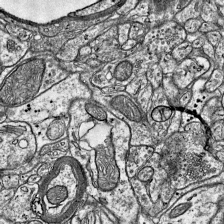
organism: Mouse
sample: Visual Cortex